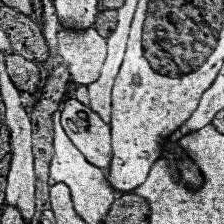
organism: Human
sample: Temporal Lobe